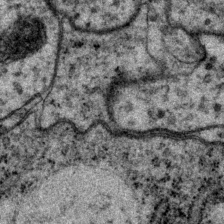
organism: P. pacificus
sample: Pharynx